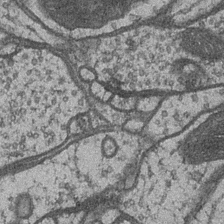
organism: Drosophila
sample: Optic medulla